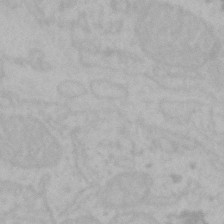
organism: Mouse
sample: Choroid plexus